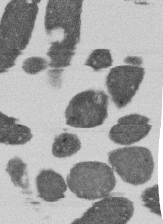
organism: E. coli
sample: Bacterial nucleoid